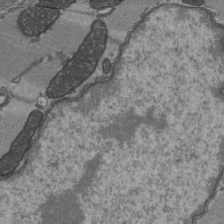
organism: C57BL Mouse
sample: Heart